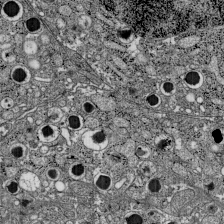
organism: C57BL Mouse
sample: Pancreatic islet